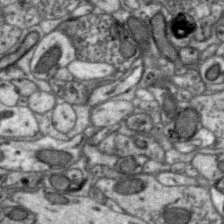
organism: Zebra finch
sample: Brain